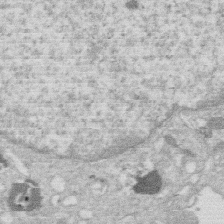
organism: Human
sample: Macrophage cells